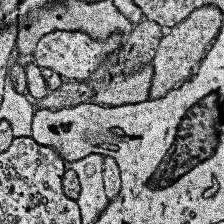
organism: Human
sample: Temporal Lobe